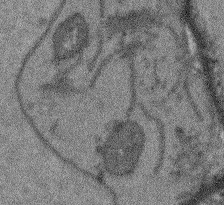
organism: Arabidopsis thaliana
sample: Root tip